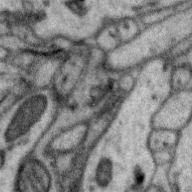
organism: Zebra finch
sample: Brain